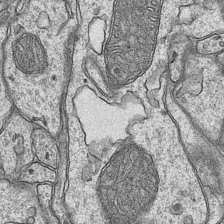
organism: Mouse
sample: CA1 Hippocampus